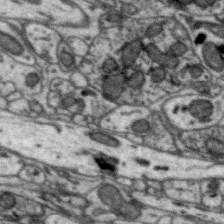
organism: Zebra finch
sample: Brain